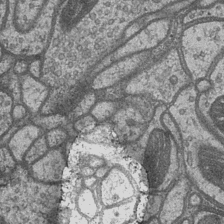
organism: Drosophila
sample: Optic medulla